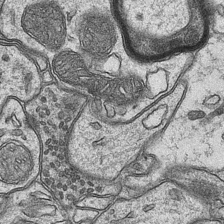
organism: Mouse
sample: CA1 Hippocampus